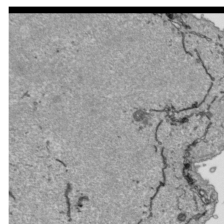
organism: Human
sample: Mitochondria in HCT116 cells